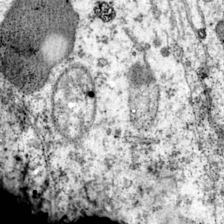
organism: Mouse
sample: Primary visual cortex